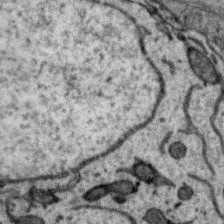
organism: Zebra finch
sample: Brain